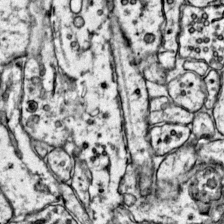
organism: Mouse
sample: Primary visual cortex